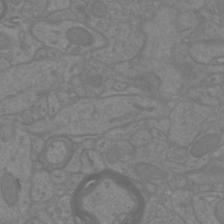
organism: Mouse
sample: Cortical neurons